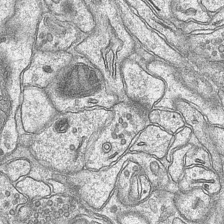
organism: Mouse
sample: CA1 Hippocampus